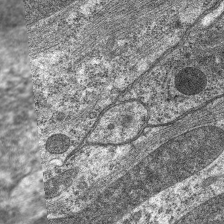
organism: C. elegans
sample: Pharynx